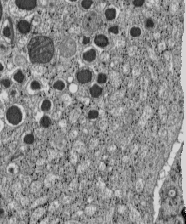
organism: C57BL Mouse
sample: Pancreatic islet